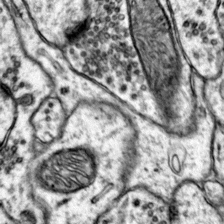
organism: Mouse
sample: Primary visual cortex